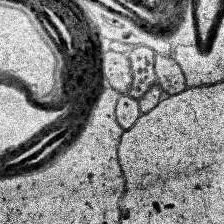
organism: Human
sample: Temporal Lobe